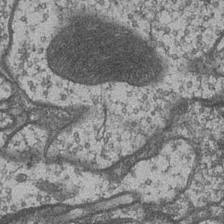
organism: Drosophila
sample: Optic medulla